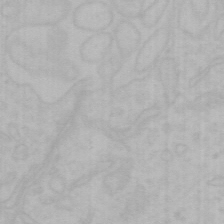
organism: Mouse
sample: Choroid plexus